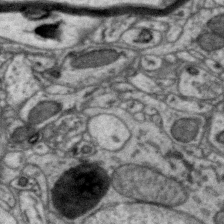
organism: Zebra finch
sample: Brain